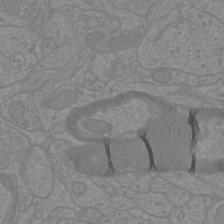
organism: Mouse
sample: Cortical neurons